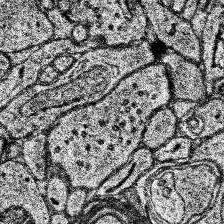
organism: Human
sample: Temporal Lobe